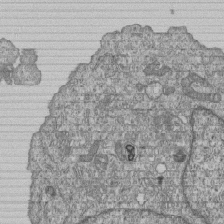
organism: Human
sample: MDA-MB-231 cells